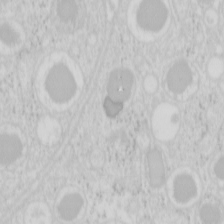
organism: Mouse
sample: Pancreas